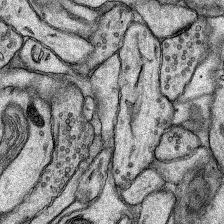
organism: Rat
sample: Hippocampus